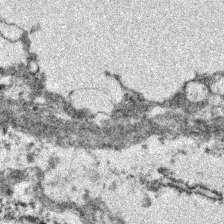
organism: Zebrafish